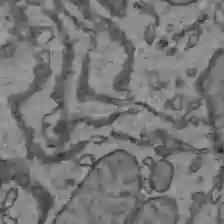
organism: C57BL Mouse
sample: Liver